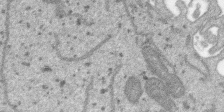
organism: Human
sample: Lung epithelial cells infected with SARS-CoV-2